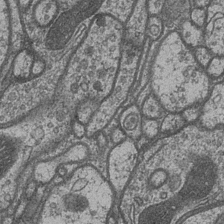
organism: Drosophila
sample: Optic medulla